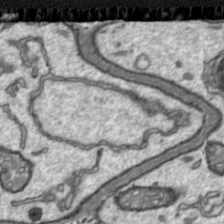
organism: Toxoplasma gondii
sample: Parasites in a vacuole inside a host cell